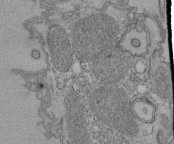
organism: Tetrahymena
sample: Cilia in tetrahymena